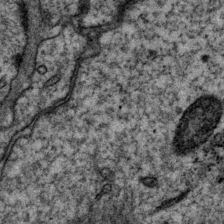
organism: P. pacificus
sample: Pharynx